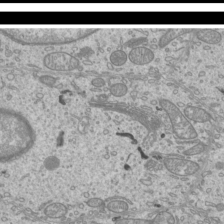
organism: Mouse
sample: Cilia; mouse epididymis